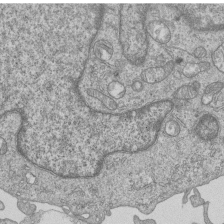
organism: Human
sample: MDA-MB-231 cells